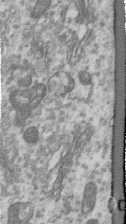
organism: Human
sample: Centriole in RPE cells